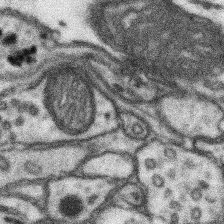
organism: Mouse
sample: Somatosensory cortex neuropil